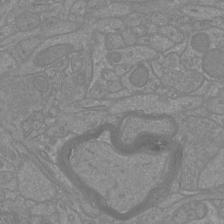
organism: Mouse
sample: Cortical neurons